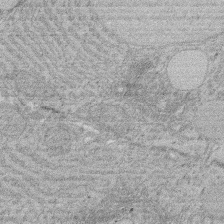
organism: Rat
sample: Salivary granule